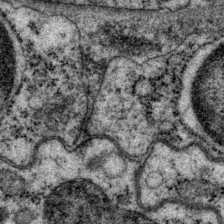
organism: P. pacificus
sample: Pharynx